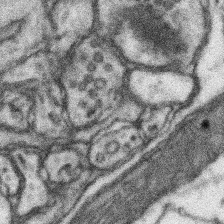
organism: Mouse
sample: Somatosensory cortex neuropil